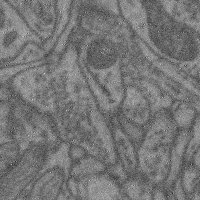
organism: Mouse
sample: Cerebral cortex